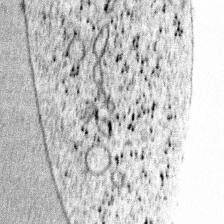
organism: Human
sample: HeLa cells